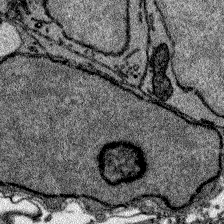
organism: Zebrafish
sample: Larval olfactory bulb